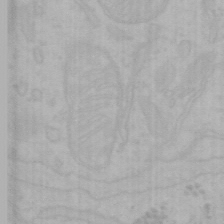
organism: Mouse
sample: Choroid plexus